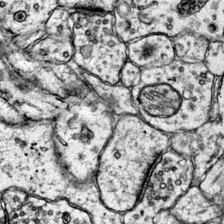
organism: Mouse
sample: Primary visual cortex